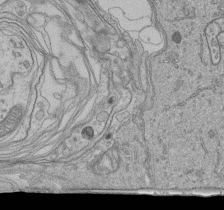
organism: Human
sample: Retinal organoid Rod and Cone cells